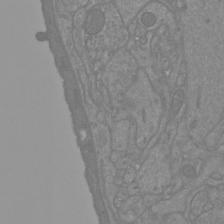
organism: Mouse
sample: Cortical neurons